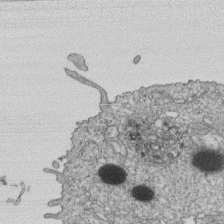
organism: Human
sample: HeLa cell HIV synapse